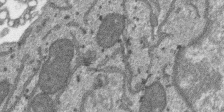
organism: Human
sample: Lung epithelial cells infected with SARS-CoV-2